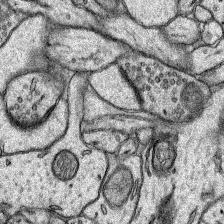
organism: Rat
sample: Hippocampus